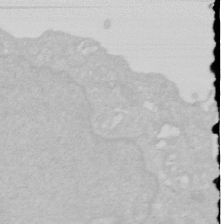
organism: Human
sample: HIV infected U937 cells